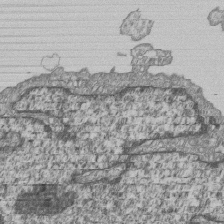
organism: Human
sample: MDA-MB-231 cells